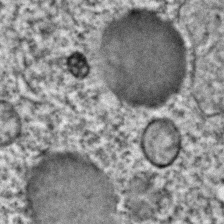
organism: C. elegans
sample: C. elegans embryo